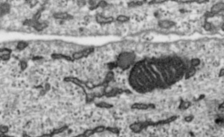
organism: Toxoplasma gondii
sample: Parasites in a vacuole inside a host cell